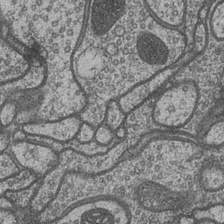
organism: Drosophila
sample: Optic medulla